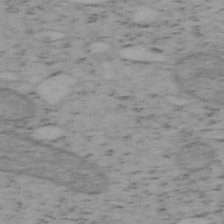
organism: Mouse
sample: OT-I killer T cells with ID8 ovarian cancer cells